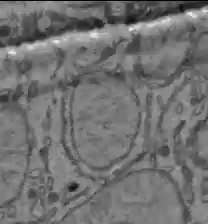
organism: C57BL Mouse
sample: Liver